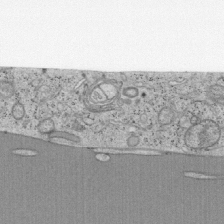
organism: Human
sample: HeLa cells